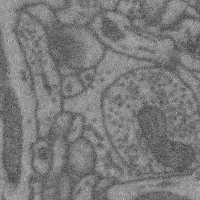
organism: Mouse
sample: Cerebral cortex